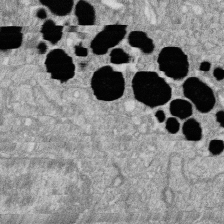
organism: Zebrafish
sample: Cilia; retinal pigment epithelium